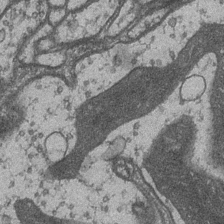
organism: Drosophila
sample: Optic medulla